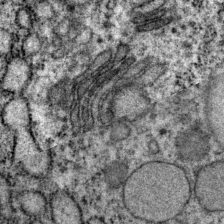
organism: P. pacificus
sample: Pharynx